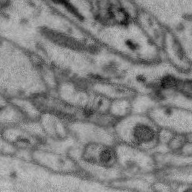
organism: Zebra finch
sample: Brain